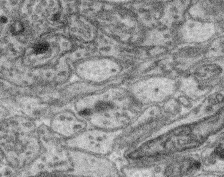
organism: Mouse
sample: Retina